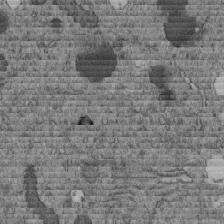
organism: C. elegans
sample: C. elegans embryo early stage